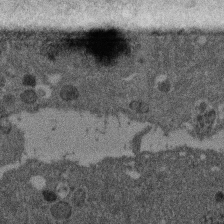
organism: Mouse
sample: Dividing mouse embryo 1 cell stage